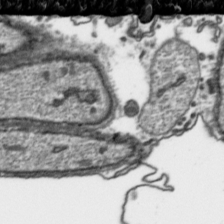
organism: Toxoplasma gondii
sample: Parasites in a vacuole inside a host cell